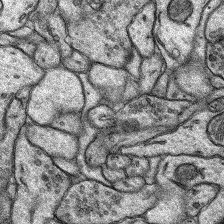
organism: Rat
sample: Hippocampus